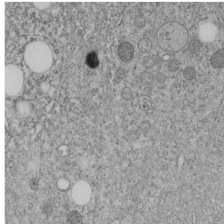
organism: C. elegans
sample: C. elegans embryo early stage